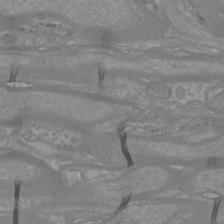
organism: Mouse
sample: Cortical neurons